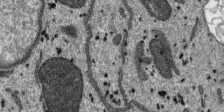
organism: Human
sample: Lung epithelial cells, uninfected (mock) control